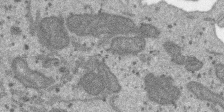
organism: Human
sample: Lung epithelial cells infected with SARS-CoV-2